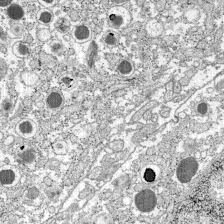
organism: C57BL Mouse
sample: Pancreatic islet